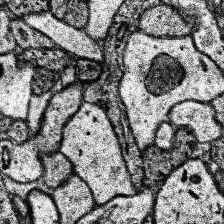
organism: Human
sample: Temporal Lobe